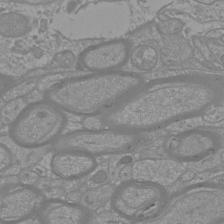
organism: Mouse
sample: Cortical neurons